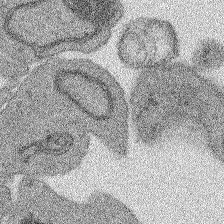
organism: Human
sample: HeLa cells